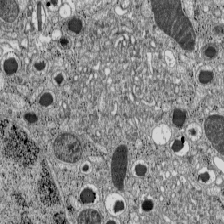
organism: C57BL Mouse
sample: Pancreatic islet